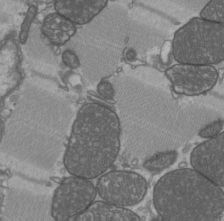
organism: C57BL Mouse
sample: Heart